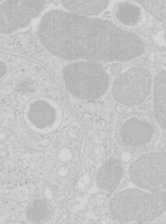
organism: Mouse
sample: Pancreas